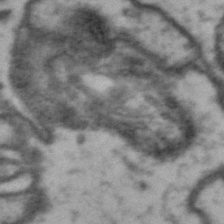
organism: Drosophila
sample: Brain